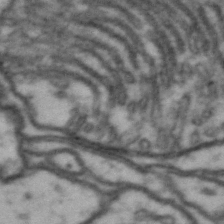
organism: Drosophila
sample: Brain